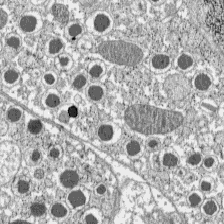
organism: C57BL Mouse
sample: Pancreatic islet